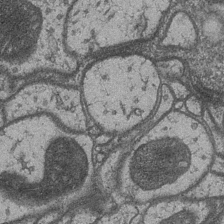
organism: Drosophila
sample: Optic medulla